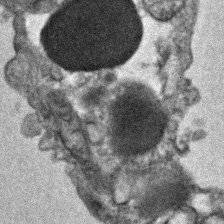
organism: Human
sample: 1205lu cells